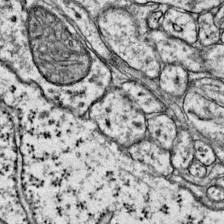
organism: Mouse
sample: Primary visual cortex